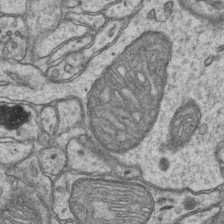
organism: Mouse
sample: CA1 Hippocampus